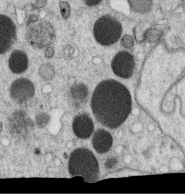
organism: C. elegans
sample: C. elegans oocyte; sperm cells